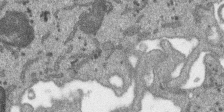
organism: Human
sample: Lung epithelial cells infected with SARS-CoV-2